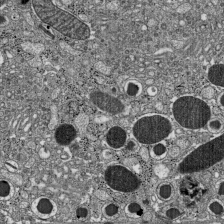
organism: C57BL Mouse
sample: Pancreatic islet